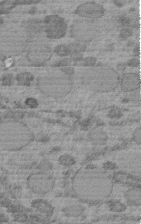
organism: C. elegans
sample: C. elegans embryo early stage